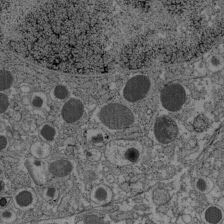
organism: C57BL Mouse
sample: Pancreatic islet